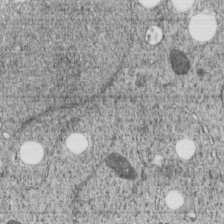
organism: C. elegans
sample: C. elegans embryo early stage